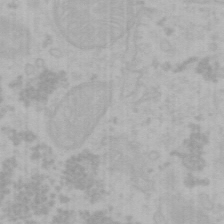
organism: Mouse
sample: Choroid plexus